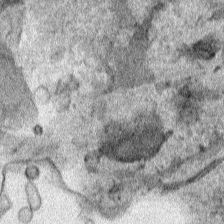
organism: Human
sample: Mitochondria in HCT116 cells